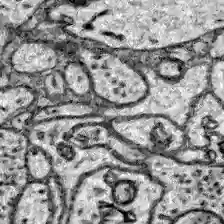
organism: Zebrafish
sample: Brain